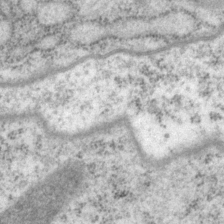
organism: P. pacificus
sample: Pharynx